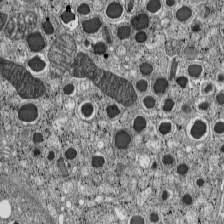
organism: C57BL Mouse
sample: Pancreatic islet